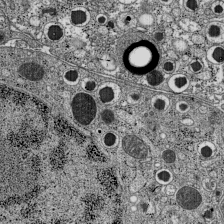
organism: C57BL Mouse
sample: Pancreatic islet